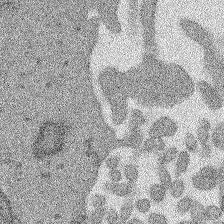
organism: Human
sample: HeLa cells